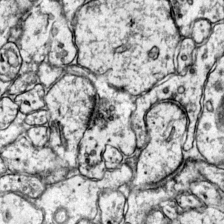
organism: Mouse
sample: Primary visual cortex